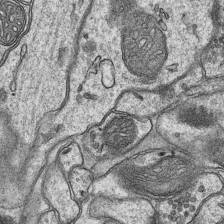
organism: Mouse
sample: CA1 Hippocampus